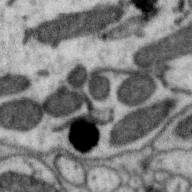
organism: Zebra finch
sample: Brain